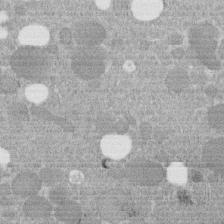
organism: C. elegans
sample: C. elegans embryo early stage